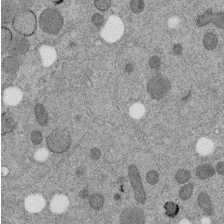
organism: C. elegans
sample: C. elegans embryo early stage